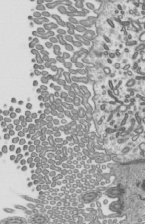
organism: Mouse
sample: Mouse epididymis efferent ductule cilia